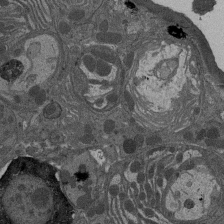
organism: Drosophila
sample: Antenna